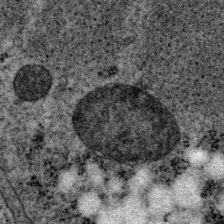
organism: P. pacificus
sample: Pharynx